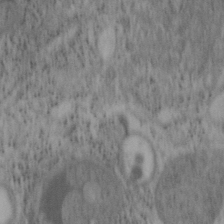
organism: Mouse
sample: OT-I killer T cells with ID8 ovarian cancer cells